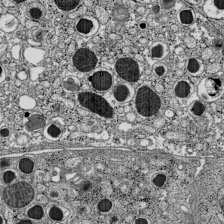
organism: C57BL Mouse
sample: Pancreatic islet